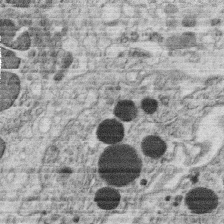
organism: C. elegans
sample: C. elegans oocyte; sperm cells